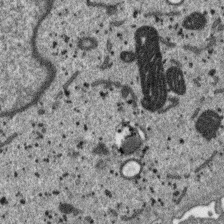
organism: Human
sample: Lung epithelial cells infected with SARS-CoV-2